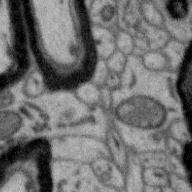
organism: Zebra finch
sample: Brain